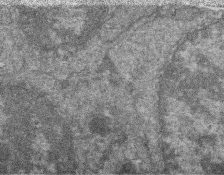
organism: Zebrafish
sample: Cilia; retinal pigment epithelium